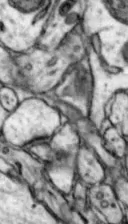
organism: Mouse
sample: Nucleus accumbens